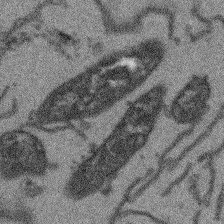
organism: Arabidopsis thaliana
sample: Root tip